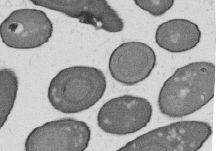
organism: B. subtilis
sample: Bacterial spore